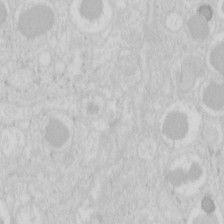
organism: Mouse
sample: Pancreas